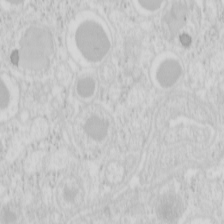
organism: Mouse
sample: Pancreas